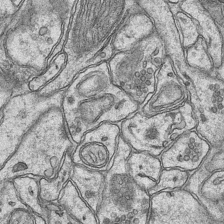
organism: Mouse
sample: CA1 Hippocampus